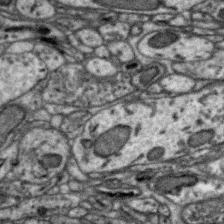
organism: Zebra finch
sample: Brain